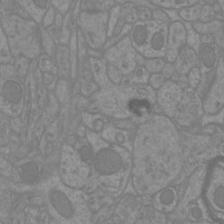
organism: Mouse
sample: Cortical neurons